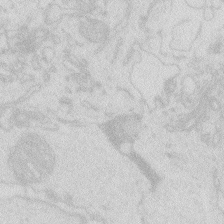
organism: Zebrafish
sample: Macrophage